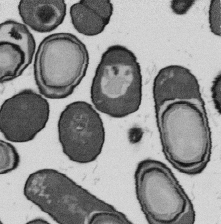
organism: B. subtilis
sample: Bacterial spore